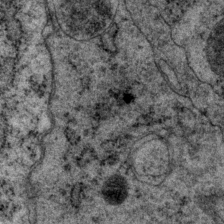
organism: P. pacificus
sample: Pharynx